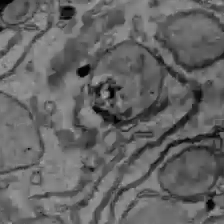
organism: C57BL Mouse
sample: Liver